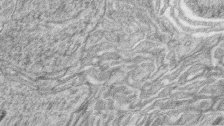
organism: Zebrafish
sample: synaptic ribbons in rod cells and cone cells